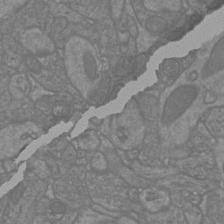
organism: Mouse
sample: Cortical neurons